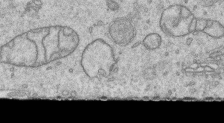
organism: Human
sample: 1205lu cells